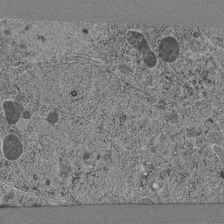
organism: C. elegans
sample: C. elegans pharynx